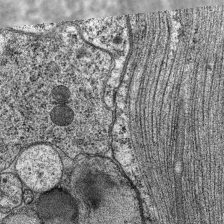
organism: C. elegans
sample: Pharynx